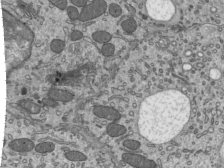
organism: Mouse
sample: Mouse epididymis efferent ductule cilia